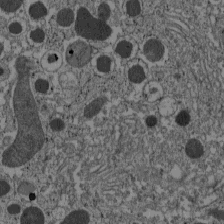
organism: C57BL Mouse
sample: Pancreatic islet